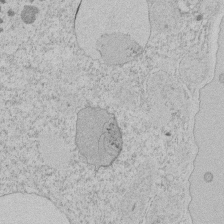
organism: Tetrahymena